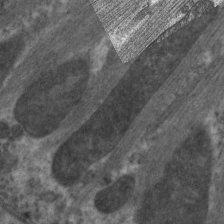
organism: C. elegans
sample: Pharynx